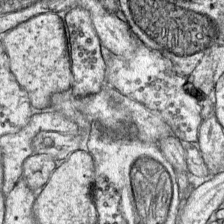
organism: Mouse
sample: Primary visual cortex